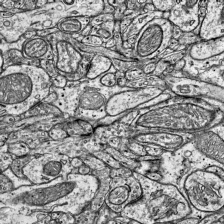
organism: Mouse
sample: Visual Cortex